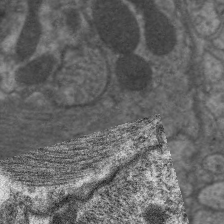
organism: C. elegans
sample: Pharynx